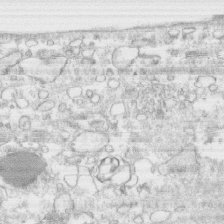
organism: Human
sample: CRL-1474